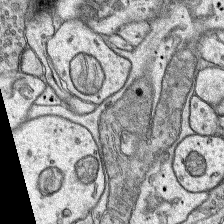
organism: Rat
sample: Hippocampus